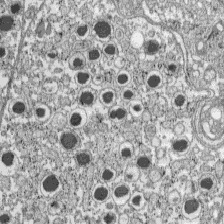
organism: C57BL Mouse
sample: Pancreatic islet